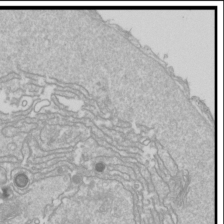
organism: Drosophila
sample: Cell division; meiosis; drosophila spermatocytes